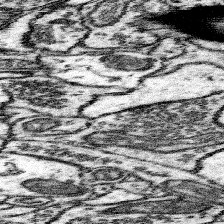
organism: Mouse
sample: Somatosensory cortex neuropil